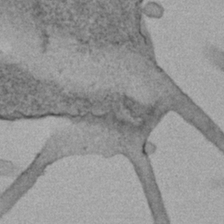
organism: Human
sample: Mitochondria in HCT116 cells